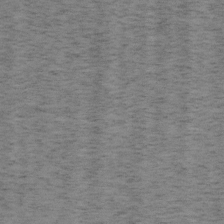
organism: Mouse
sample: OT-I killer T cells with ID8 ovarian cancer cells